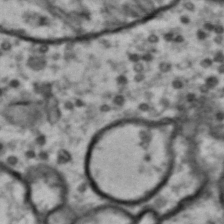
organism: Drosophila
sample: Brain